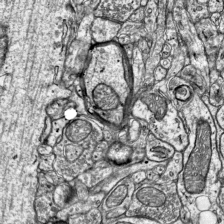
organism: Mouse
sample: Visual Cortex